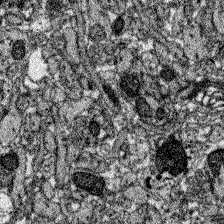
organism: Zebrafish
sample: Larval olfactory bulb